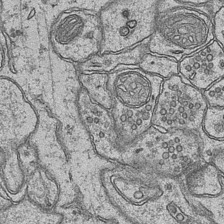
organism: Mouse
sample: CA1 Hippocampus